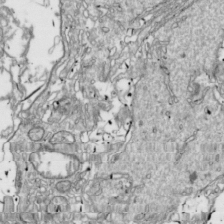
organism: Drosophila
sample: Cell division; meiosis; drosophila spermatocytes